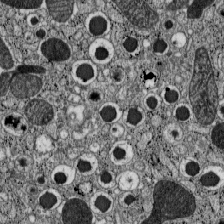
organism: C57BL Mouse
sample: Pancreatic islet